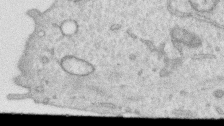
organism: Human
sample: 1205lu cells